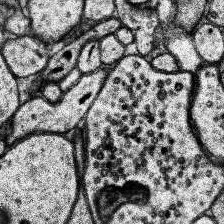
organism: Human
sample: Temporal Lobe